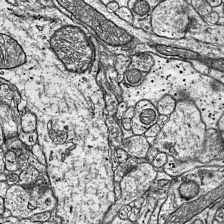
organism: Mouse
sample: Visual Cortex